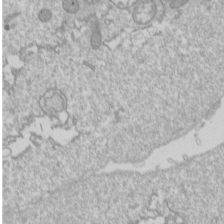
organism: Drosophila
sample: Cell division; meiosis; drosophila spermatocytes